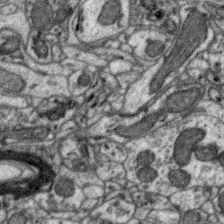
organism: Zebra finch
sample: Brain